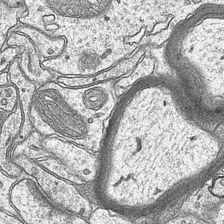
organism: Mouse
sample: CA1 Hippocampus